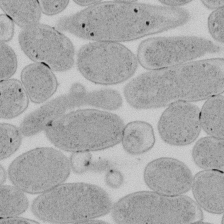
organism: E. coli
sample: Bacterial nucleoid